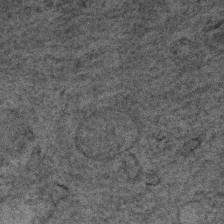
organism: Human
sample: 1205lu cells